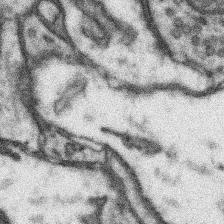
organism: Mouse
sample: Somatosensory cortex neuropil